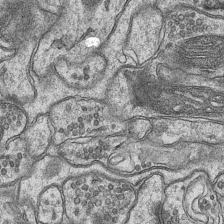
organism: Mouse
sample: CA1 Hippocampus